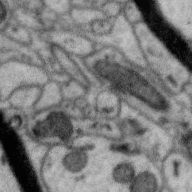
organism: Zebra finch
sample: Brain